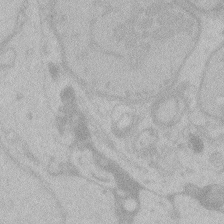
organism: Zebrafish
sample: Macrophage infected with Toxoplasma gondii